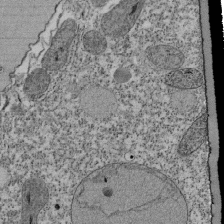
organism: Tetrahymena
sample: Cilia in tetrahymena